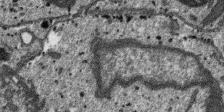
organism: Human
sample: Lung epithelial cells infected with SARS-CoV-2